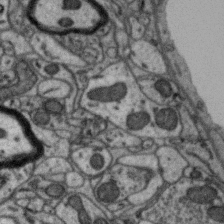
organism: Zebra finch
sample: Brain